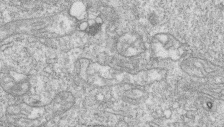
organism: Human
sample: HeLa cell HIV synapse